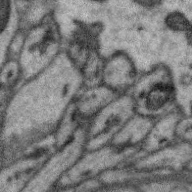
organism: Zebra finch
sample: Brain